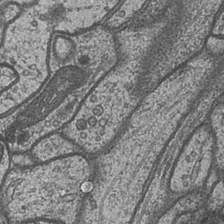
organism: Drosophila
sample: Optic medulla